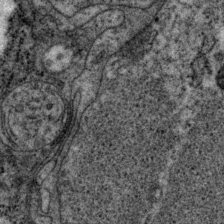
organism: P. pacificus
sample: Pharynx